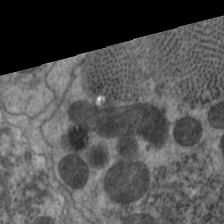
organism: C. elegans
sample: Pharynx